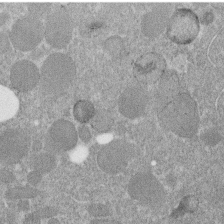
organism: C. elegans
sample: C. elegans embryo early stage